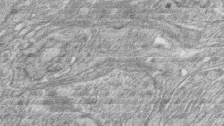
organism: Zebrafish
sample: synaptic ribbons in rod cells and cone cells